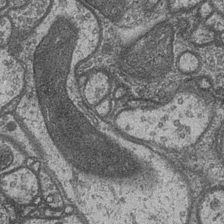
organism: Drosophila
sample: Optic medulla